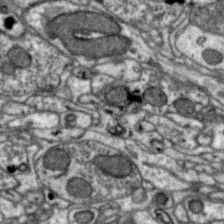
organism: Zebra finch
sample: Brain